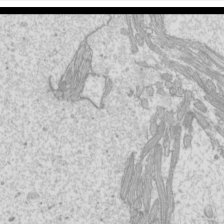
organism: Mouse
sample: Cilia; mouse epididymis